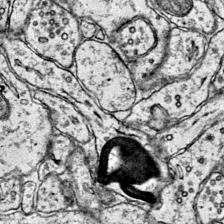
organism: Mouse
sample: Primary visual cortex